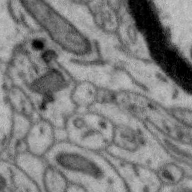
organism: Zebra finch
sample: Brain